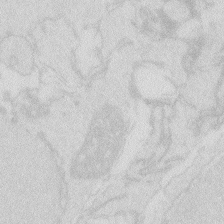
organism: Zebrafish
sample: Macrophage